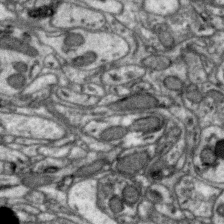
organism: Zebra finch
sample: Brain